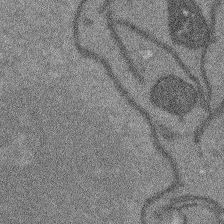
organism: Arabidopsis thaliana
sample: Root tip